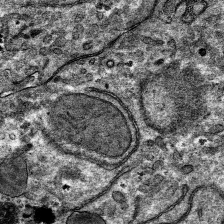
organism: Mouse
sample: Mouse hepatocytes